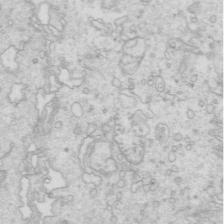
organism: Mouse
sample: Multiciliated cells